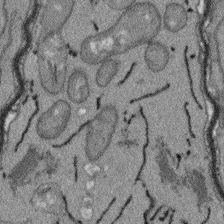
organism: Arabidopsis thaliana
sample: Root tip